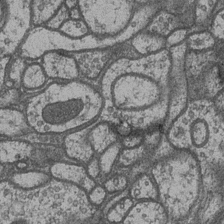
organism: Drosophila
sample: Optic medulla